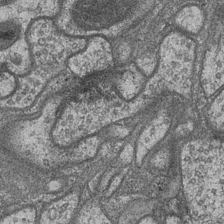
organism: Drosophila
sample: Optic medulla